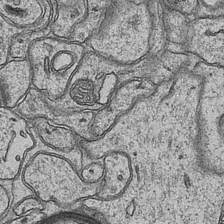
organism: Mouse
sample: CA1 Hippocampus